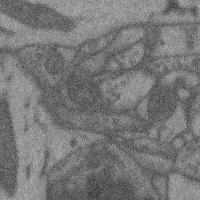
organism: Mouse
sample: Cerebral cortex